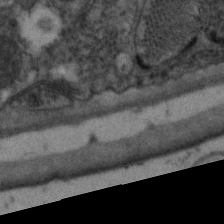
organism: C. elegans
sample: Pharynx